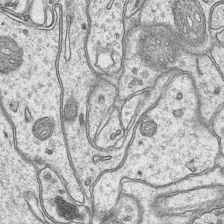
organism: Mouse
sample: CA1 Hippocampus